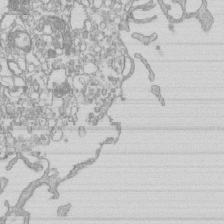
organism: Mouse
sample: Macrophages